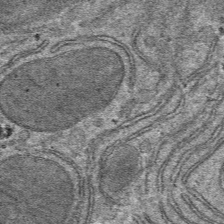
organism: Mouse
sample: Mouse hepatocytes